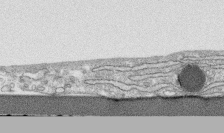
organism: Human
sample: CRL-1474